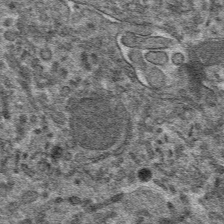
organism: Mouse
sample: Mouse hepatocytes